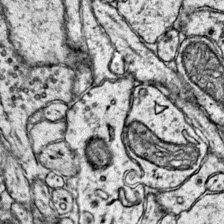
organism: Mouse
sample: Primary visual cortex